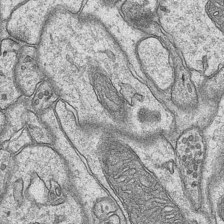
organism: Mouse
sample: CA1 Hippocampus